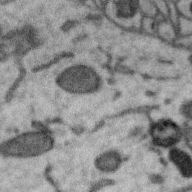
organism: Zebra finch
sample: Brain